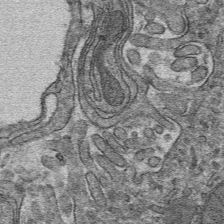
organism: Mouse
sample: Mouse hepatocytes